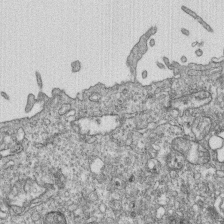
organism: Human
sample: HeLa cell HIV synapse